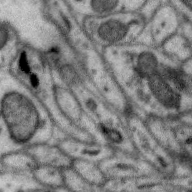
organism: Zebra finch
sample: Brain